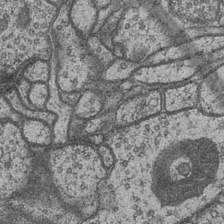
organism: Drosophila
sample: Optic medulla